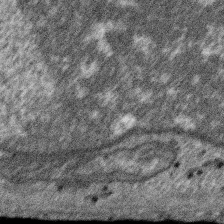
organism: Human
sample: Lung epithelial cells infected with SARS-CoV-2